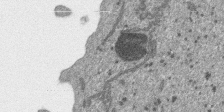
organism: Human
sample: Lung epithelial cells infected with SARS-CoV-2